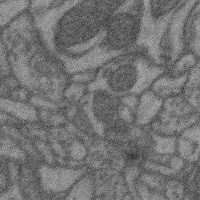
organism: Mouse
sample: Cerebral cortex